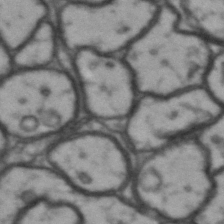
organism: Drosophila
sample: Brain